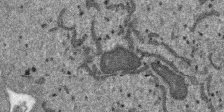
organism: Human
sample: Lung epithelial cells infected with SARS-CoV-2